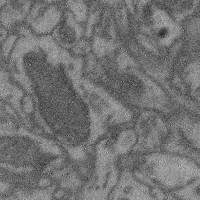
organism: Mouse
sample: Cerebral cortex